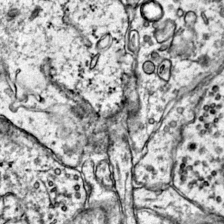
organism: Mouse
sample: Primary visual cortex